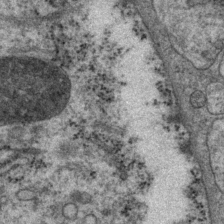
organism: P. pacificus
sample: Pharynx